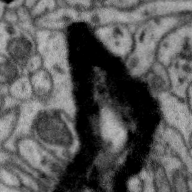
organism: Zebra finch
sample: Brain